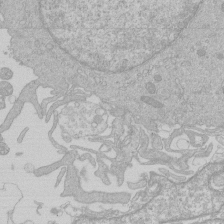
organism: Human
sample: Macrophage cells